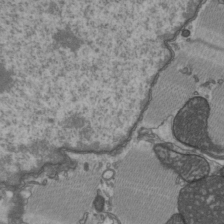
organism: C57BL Mouse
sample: Heart